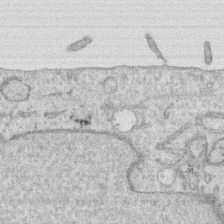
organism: Human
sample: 1205lu cells